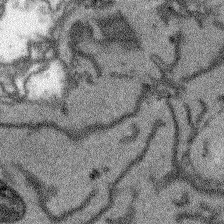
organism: Arabidopsis thaliana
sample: Root tip